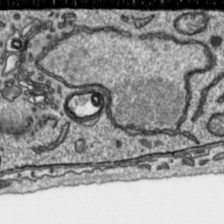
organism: Toxoplasma gondii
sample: Parasites in a vacuole inside a host cell